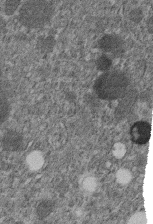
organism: C. elegans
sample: C. elegans embryo early stage